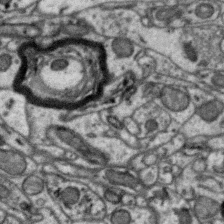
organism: Zebra finch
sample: Brain